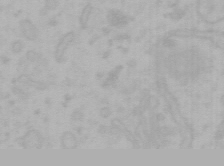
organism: Mouse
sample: Choroid plexus